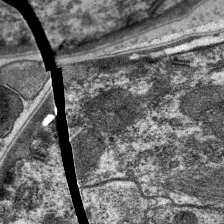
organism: C. elegans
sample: Pharynx